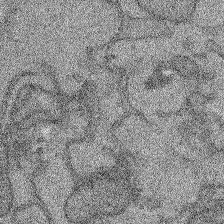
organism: Human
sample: HeLa cells